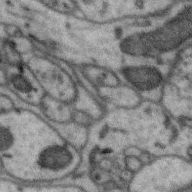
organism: Zebra finch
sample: Brain